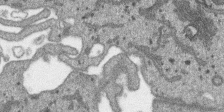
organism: Human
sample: Lung epithelial cells infected with SARS-CoV-2